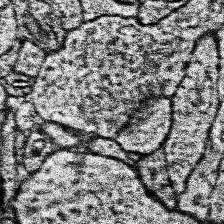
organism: Human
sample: Temporal Lobe